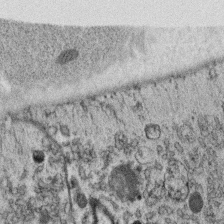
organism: C. elegans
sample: C. elegans oocyte; sperm cells